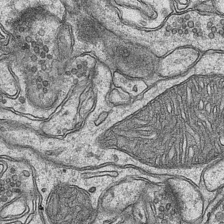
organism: Mouse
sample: CA1 Hippocampus